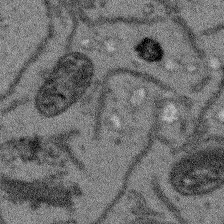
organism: Arabidopsis thaliana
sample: Root tip